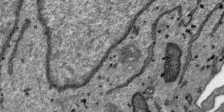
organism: Human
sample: Lung epithelial cells, uninfected (mock) control